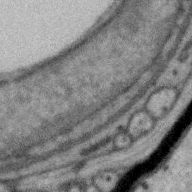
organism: Zebra finch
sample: Brain